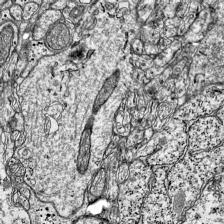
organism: Mouse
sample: Visual Cortex